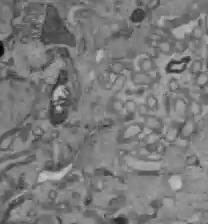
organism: C57BL Mouse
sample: Liver